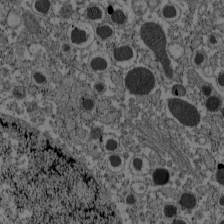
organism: C57BL Mouse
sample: Pancreatic islet